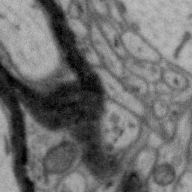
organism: Zebra finch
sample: Brain